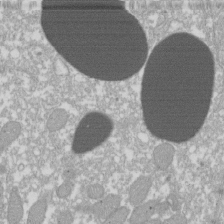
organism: Xenopus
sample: Cilia; centrioles in frog embryo cells